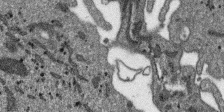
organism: Human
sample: Lung epithelial cells infected with SARS-CoV-2